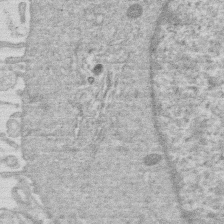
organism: Human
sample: Macrophage cells